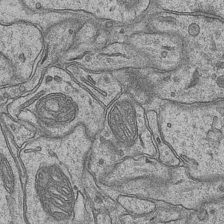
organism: Mouse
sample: CA1 Hippocampus